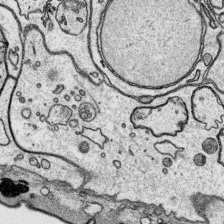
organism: Platynereis dumerilii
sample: Parapodia